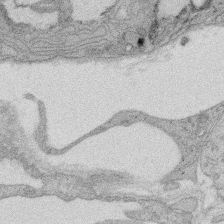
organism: Rat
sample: Salivary granule